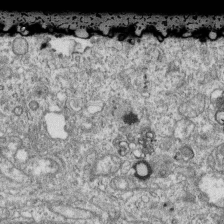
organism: Human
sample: HeLa cell HIV synapse